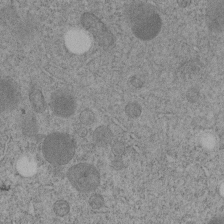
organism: C. elegans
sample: C. elegans embryo early stage